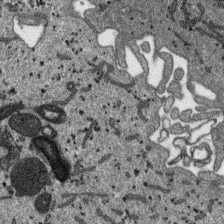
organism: Human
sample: Lung epithelial cells infected with SARS-CoV-2